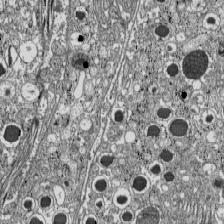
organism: C57BL Mouse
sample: Pancreatic islet